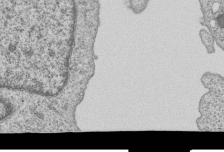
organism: Human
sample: MDA-MB-231 cells